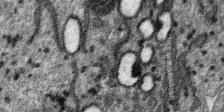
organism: Human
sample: Lung epithelial cells infected with SARS-CoV-2